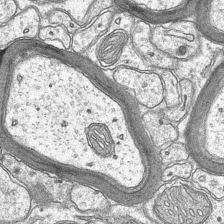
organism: Mouse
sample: CA1 Hippocampus